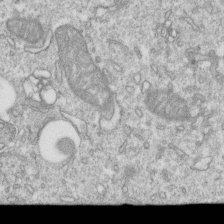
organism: Mouse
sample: Activated OT-1 CD8+ T cells